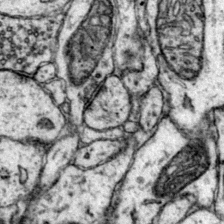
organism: Mouse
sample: Primary visual cortex